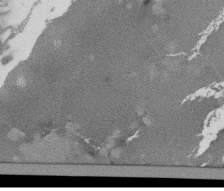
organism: Tetrahymena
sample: Cilia in tetrahymena